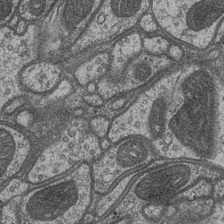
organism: Drosophila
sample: Optic medulla